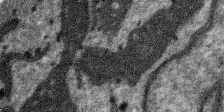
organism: Human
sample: Lung epithelial cells infected with SARS-CoV-2